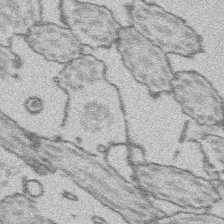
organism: Platynereis dumerilii